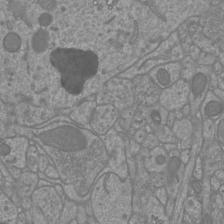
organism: Mouse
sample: Cortical neurons